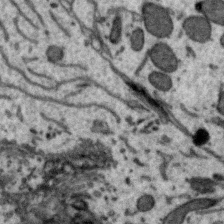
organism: Zebra finch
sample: Brain